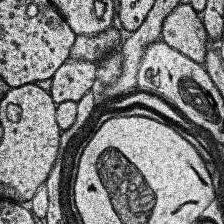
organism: Human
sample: Temporal Lobe